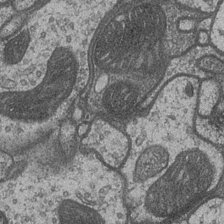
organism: Drosophila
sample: Optic medulla